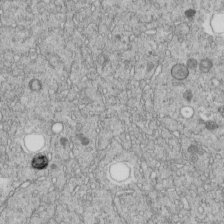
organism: C. elegans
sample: C. elegans embryo early stage